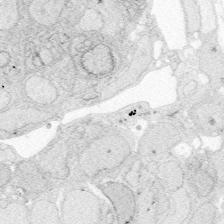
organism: Zebrafish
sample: Whole-Brain